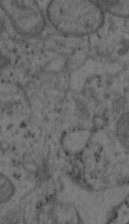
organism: Human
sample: HeLa cells